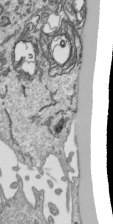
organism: Human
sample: Mitochondria in HCT116 cells